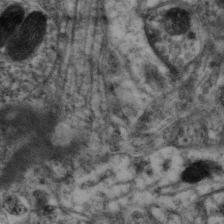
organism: Mouse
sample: Neocortex